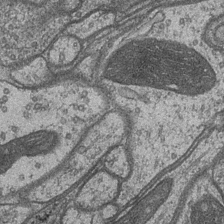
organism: Drosophila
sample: Optic medulla